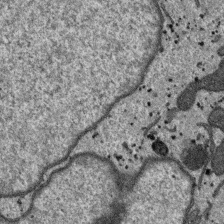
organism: Human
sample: Lung epithelial cells, uninfected (mock) control